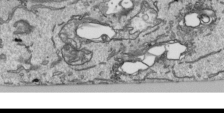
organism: Human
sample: Mitochondria in HCT116 cells